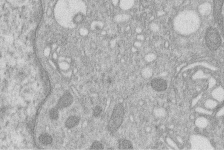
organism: Human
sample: Macrophage cells